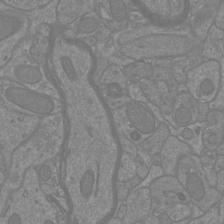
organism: Mouse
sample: Cortical neurons